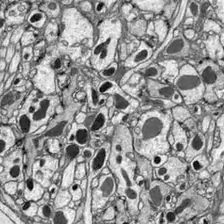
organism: Drosophila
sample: Optic lobe